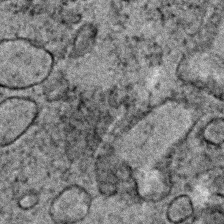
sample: Trachea